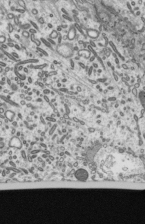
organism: Mouse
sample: Mouse epididymis efferent ductule cilia